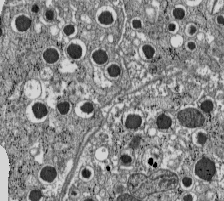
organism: C57BL Mouse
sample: Pancreatic islet